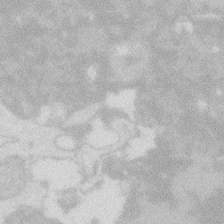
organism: Zebrafish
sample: Macrophage